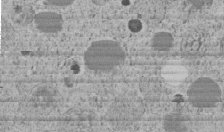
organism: C. elegans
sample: C. elegans embryo early stage